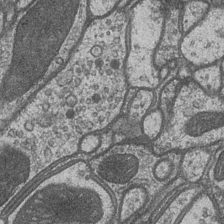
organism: Drosophila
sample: Optic medulla